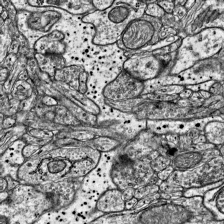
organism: Mouse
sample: Visual Cortex